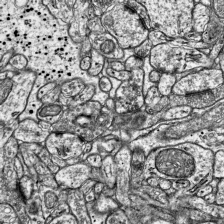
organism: Mouse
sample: Visual Cortex